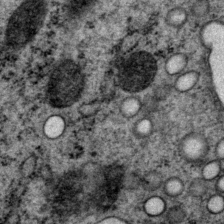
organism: P. pacificus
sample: Pharynx